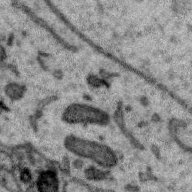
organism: Zebra finch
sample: Brain